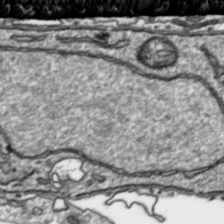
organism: Toxoplasma gondii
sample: Parasites in a vacuole inside a host cell